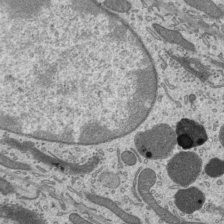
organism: Mouse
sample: Mouse epididymis efferent ductule cilia